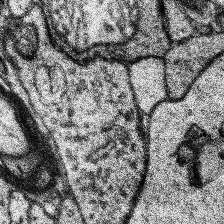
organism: Human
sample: Temporal Lobe